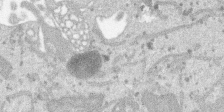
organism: Human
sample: Lung epithelial cells infected with SARS-CoV-2